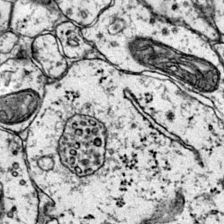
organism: Mouse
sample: Primary visual cortex